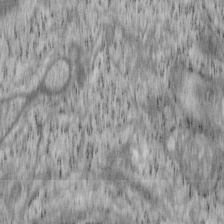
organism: Human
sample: HeLa cells